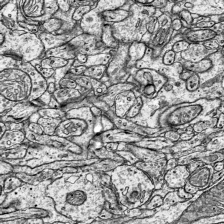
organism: Mouse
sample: Visual Cortex